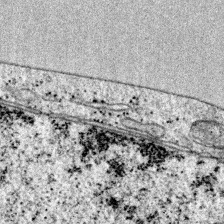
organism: Human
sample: HeLa cells